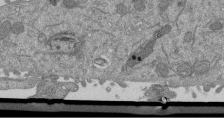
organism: Mouse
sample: ED-1 cell nuclei; centrioles